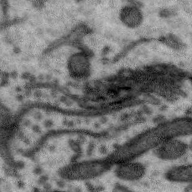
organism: Zebra finch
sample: Brain